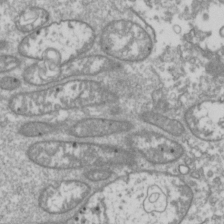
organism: Drosophila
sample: Cell division; meiosis; drosophila spermatocytes